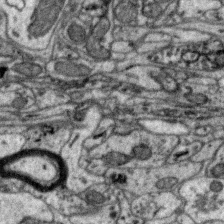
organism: Zebra finch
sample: Brain